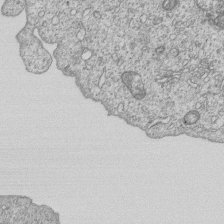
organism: Human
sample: MDA-MB-231 cells